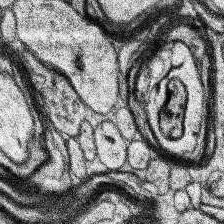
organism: Human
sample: Temporal Lobe